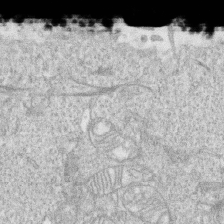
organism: Human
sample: HeLa cell HIV synapse